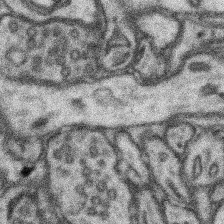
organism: Mouse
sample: Somatosensory cortex neuropil